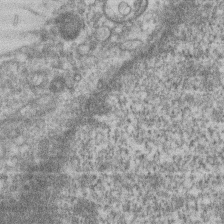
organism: Mouse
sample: T cell stromal cell synapse